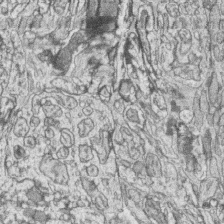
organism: Zebrafish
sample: synaptic ribbons in rod cells and cone cells